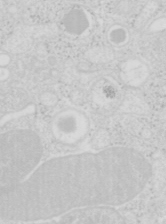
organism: Mouse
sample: Pancreas